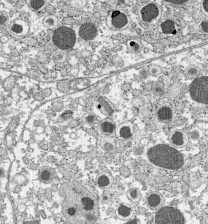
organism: C57BL Mouse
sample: Pancreatic islet